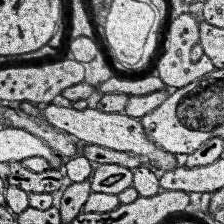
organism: Human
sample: Temporal Lobe